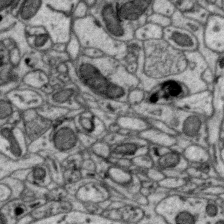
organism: Zebra finch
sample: Brain